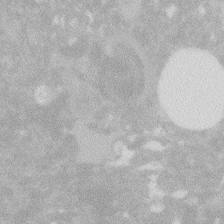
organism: Zebrafish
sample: Macrophage